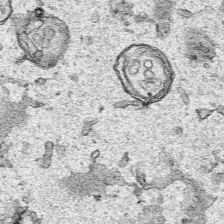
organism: Human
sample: Mitochondria in HCT116 cells